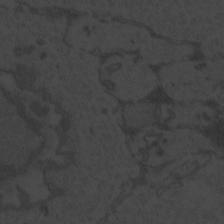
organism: Zebrafish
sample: Macrophage infected with Toxoplasma gondii